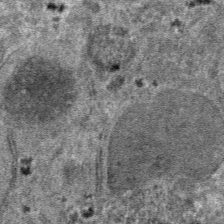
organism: Mouse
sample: Mouse hepatocytes